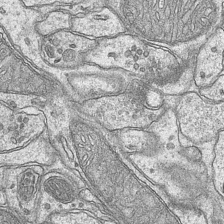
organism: Mouse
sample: CA1 Hippocampus